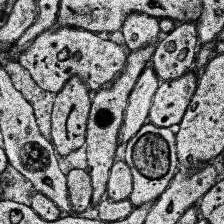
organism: Human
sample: Temporal Lobe